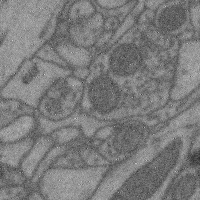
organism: Mouse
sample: Cerebral cortex